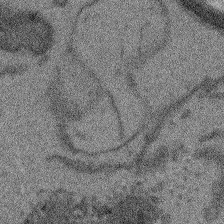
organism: Arabidopsis thaliana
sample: Root tip